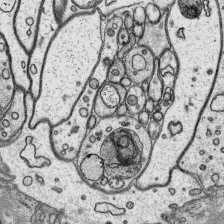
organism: Platynereis dumerilii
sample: Parapodia